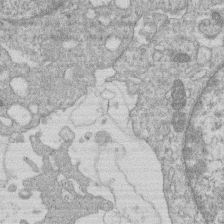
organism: Human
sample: Macrophage cells